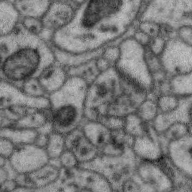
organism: Zebra finch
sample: Brain